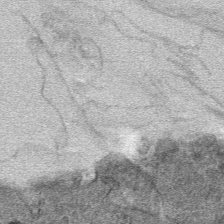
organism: Mouse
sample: Mouse hepatocytes